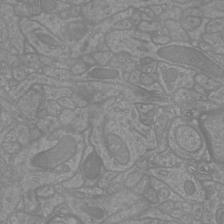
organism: Mouse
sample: Cortical neurons